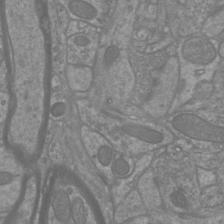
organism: Mouse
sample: Cortical neurons